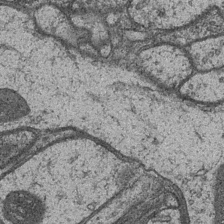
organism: Drosophila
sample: Optic medulla